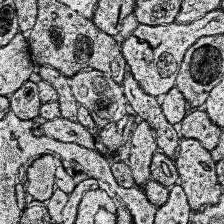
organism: Human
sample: Temporal Lobe